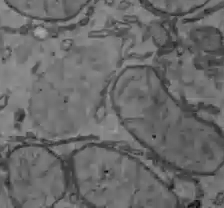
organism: C57BL Mouse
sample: Liver